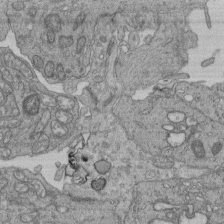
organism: Human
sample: Retinal organoid Rod and Cone cells